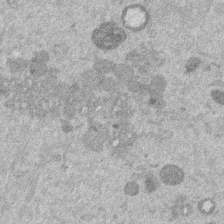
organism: Mouse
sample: Dividing mouse embryo 1 cell stage